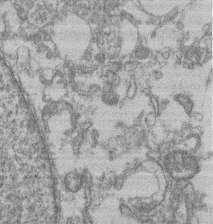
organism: Mouse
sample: T cell stromal cell synapse